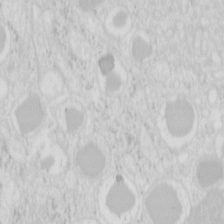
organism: Mouse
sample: Pancreas